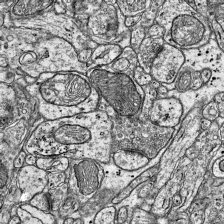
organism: Mouse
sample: Visual Cortex